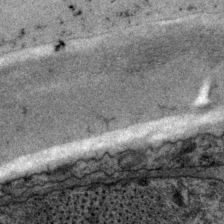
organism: P. pacificus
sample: Pharynx